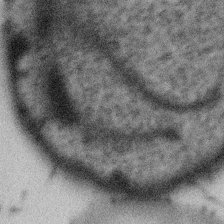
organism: Gemmata obscuriglobus